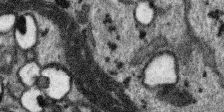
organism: Human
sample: Lung epithelial cells infected with SARS-CoV-2